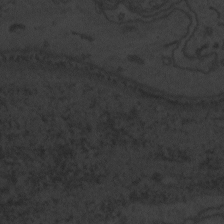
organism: Zebrafish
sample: Macrophage infected with Toxoplasma gondii